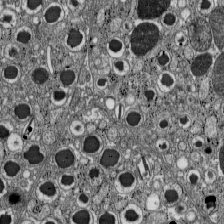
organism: C57BL Mouse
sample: Pancreatic islet